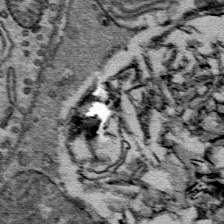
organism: Mouse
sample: Mouse Salivary gland